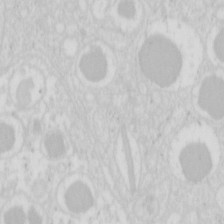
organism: Mouse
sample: Pancreas